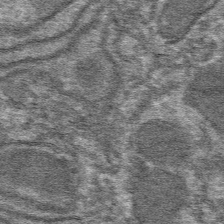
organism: Mouse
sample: Mouse hepatocytes